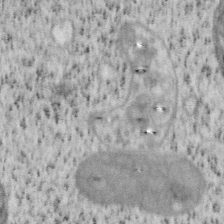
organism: Mouse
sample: OT-I killer T cells with ID8 ovarian cancer cells